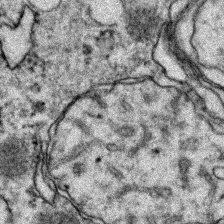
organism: Zebrafish